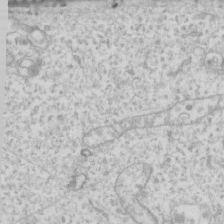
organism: Human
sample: Fibroblast cells